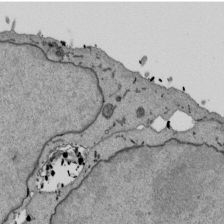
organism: Mouse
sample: ED-1 cell nuclei; centrioles